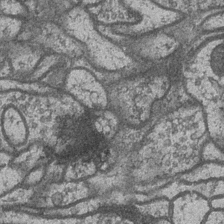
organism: Drosophila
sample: Optic medulla